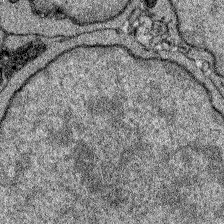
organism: Zebrafish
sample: Larval olfactory bulb